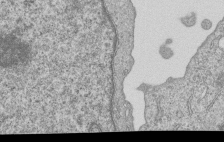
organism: Human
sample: MDA-MB-231 cells